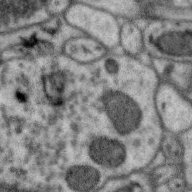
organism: Zebra finch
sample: Brain